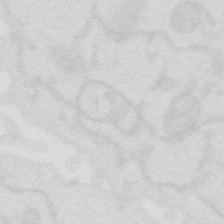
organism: Human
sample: HeLa cells